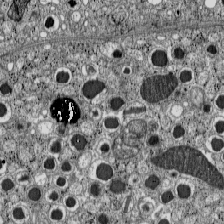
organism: C57BL Mouse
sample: Pancreatic islet